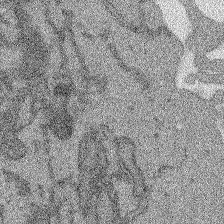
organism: Human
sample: HeLa cells